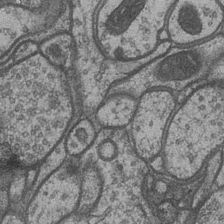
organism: Drosophila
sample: Optic medulla